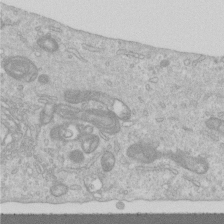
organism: Human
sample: Centriole in RPE cells